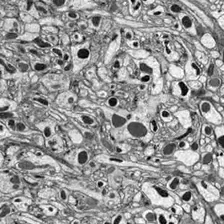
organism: Drosophila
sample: Optic lobe